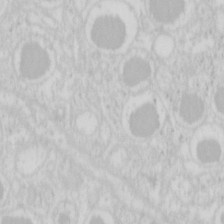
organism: Mouse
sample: Pancreas